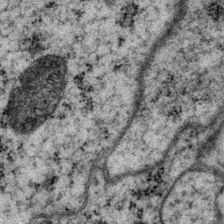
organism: P. pacificus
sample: Pharynx